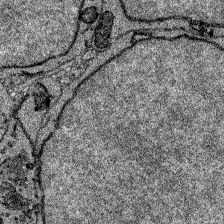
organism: Zebrafish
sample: Larval olfactory bulb